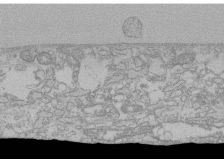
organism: Human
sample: CRL-1474